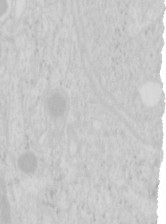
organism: Mouse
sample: Pancreas